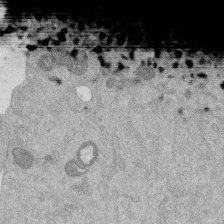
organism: Mouse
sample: Dividing mouse embryo 1 cell stage